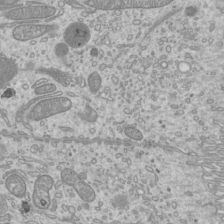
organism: Mouse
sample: Cilia; mouse epididymis